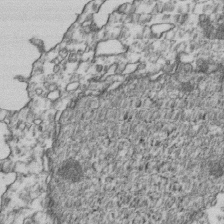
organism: Human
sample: Activated Jurkat CD4+ T cells